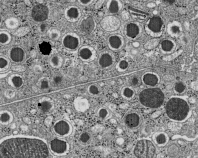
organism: C57BL Mouse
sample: Pancreatic islet